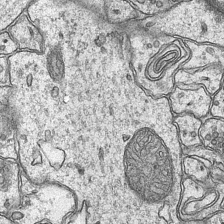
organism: Mouse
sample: CA1 Hippocampus